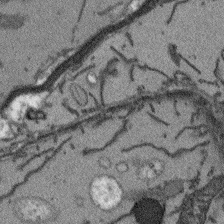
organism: Arabidopsis thaliana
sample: Root tip